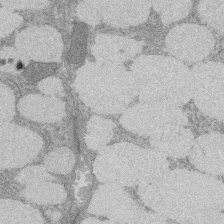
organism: Rat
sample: Salivary granule